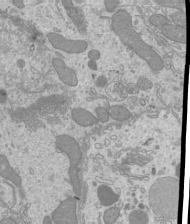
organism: Mouse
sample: Cilia; mouse epididymis